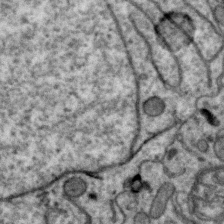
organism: Zebra finch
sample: Brain